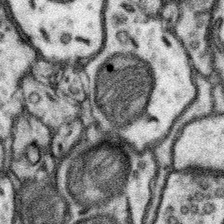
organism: Mouse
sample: Somatosensory cortex neuropil